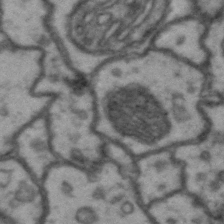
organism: Drosophila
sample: Brain